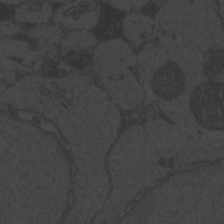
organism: Zebrafish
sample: Macrophage infected with Toxoplasma gondii